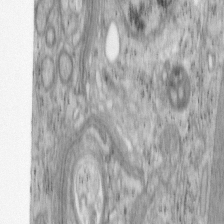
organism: Human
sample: HeLa cells